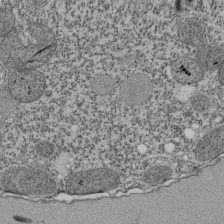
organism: Tetrahymena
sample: Cilia in tetrahymena